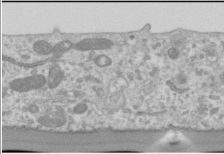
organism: Human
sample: Cilia; basal body in RPE cells